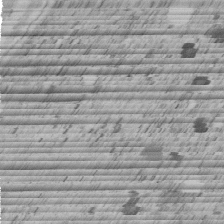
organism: C. elegans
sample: C. elegans embryo early stage